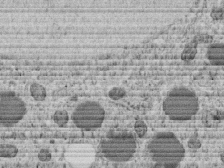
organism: C. elegans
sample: C. elegans embryo early stage